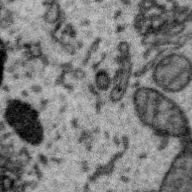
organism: Zebra finch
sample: Brain